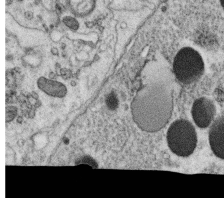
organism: C. elegans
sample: C. elegans oocyte; sperm cells